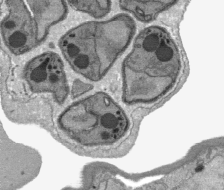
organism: Plasmodium falciparum